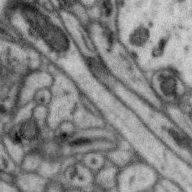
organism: Zebra finch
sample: Brain